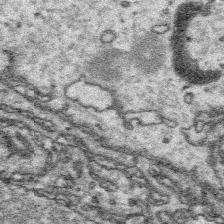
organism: Platynereis dumerilii